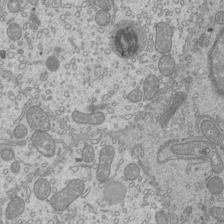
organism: Mouse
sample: Cilia; mouse epididymis